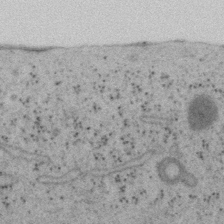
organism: Human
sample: HeLa cells